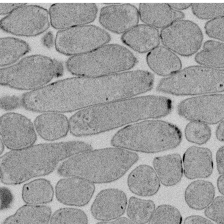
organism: E. coli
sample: Bacterial nucleoid